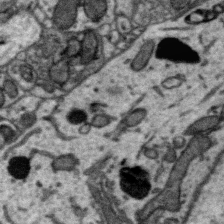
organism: Zebra finch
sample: Brain